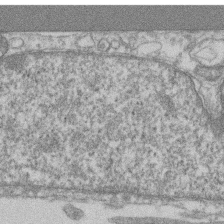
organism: Mouse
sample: T cell stromal cell synapse